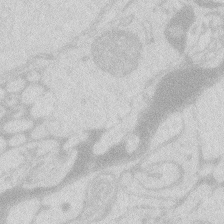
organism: Zebrafish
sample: Macrophage